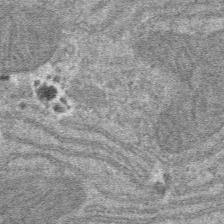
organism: Mouse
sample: Mouse hepatocytes